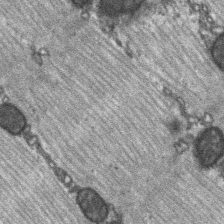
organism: C57BL Mouse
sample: Soleus